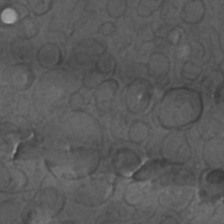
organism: C. elegans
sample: C. elegans embryo